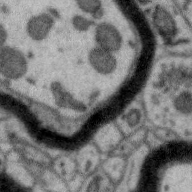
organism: Zebra finch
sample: Brain